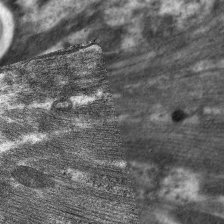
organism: C. elegans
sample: Pharynx